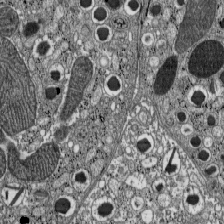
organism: C57BL Mouse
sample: Pancreatic islet